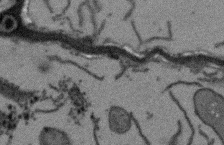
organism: Arabidopsis thaliana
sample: Root tip